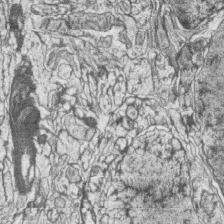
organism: Zebrafish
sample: synaptic ribbons in rod cells and cone cells